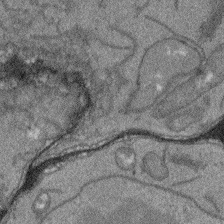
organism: Arabidopsis thaliana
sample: Root tip